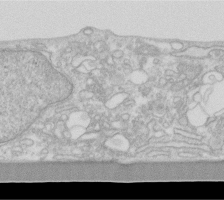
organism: Human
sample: Fibroblast cells